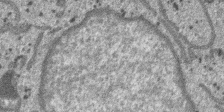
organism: Human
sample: Lung epithelial cells infected with SARS-CoV-2